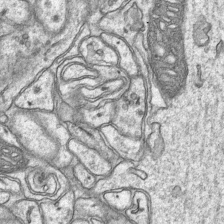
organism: Mouse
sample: CA1 Hippocampus